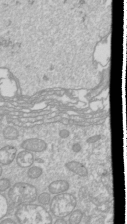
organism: Drosophila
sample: Cell division; meiosis; drosophila spermatocytes